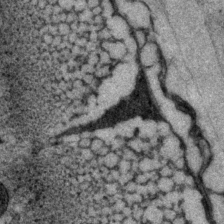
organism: P. pacificus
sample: Pharynx